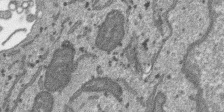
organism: Human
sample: Lung epithelial cells infected with SARS-CoV-2